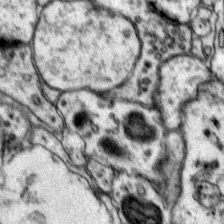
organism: Mouse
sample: Primary visual cortex